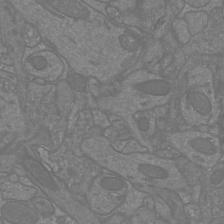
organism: Mouse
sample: Cortical neurons